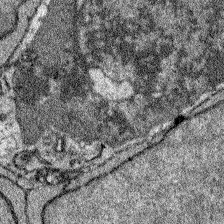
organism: Zebrafish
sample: Larval olfactory bulb